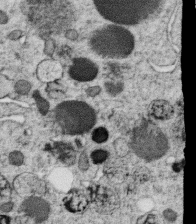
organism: C. elegans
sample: C. elegans oocyte; sperm cells